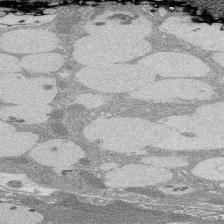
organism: Rat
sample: Salivary granule